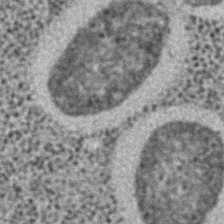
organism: C. elegans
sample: C. elegans embryo